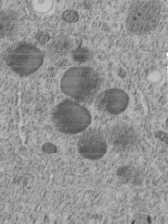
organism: C. elegans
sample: C. elegans embryo early stage